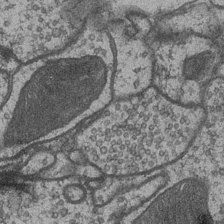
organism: Drosophila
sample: Optic medulla